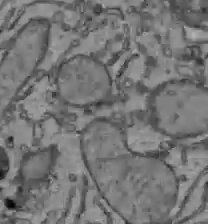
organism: C57BL Mouse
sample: Liver